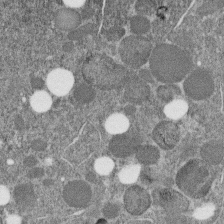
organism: C. elegans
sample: C. elegans embryo early stage